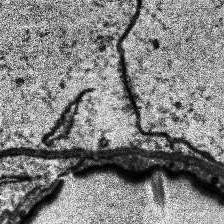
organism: Human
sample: Temporal Lobe